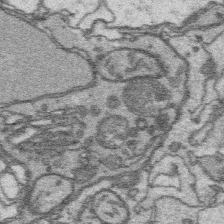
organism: Platynereis dumerilii